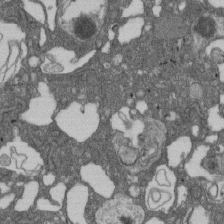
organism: Drosophila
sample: Nephrocyte